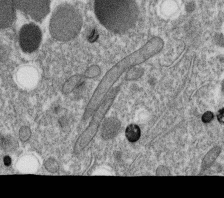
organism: C. elegans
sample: C. elegans oocyte; sperm cells